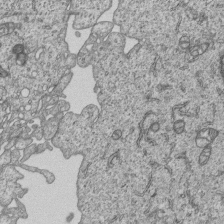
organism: Human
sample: MDA-MB-231 cells